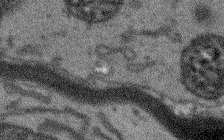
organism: Arabidopsis thaliana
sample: Root tip